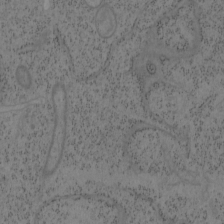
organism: Mouse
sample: OT-I killer T cells with ID8 ovarian cancer cells